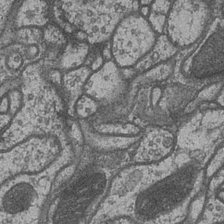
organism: Drosophila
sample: Optic medulla